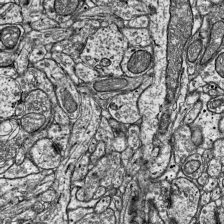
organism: Mouse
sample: Visual Cortex